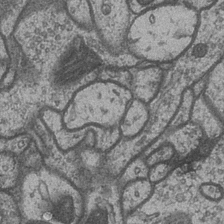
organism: Drosophila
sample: Optic medulla